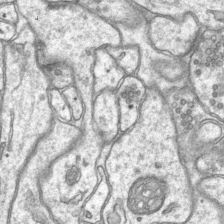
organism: Mouse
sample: CA1 Hippocampus